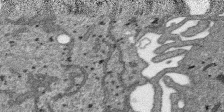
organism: Human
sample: Lung epithelial cells infected with SARS-CoV-2